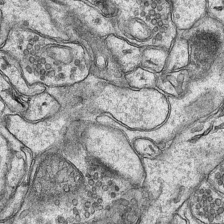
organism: Mouse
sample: CA1 Hippocampus